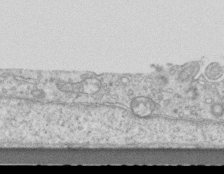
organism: Mouse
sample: Centriole in ependymal cells